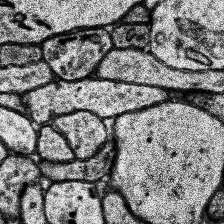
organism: Human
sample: Temporal Lobe